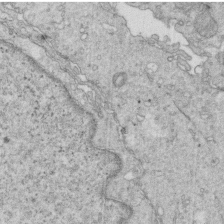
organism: Mouse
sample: Multiciliated cells